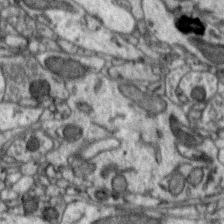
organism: Zebra finch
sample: Brain